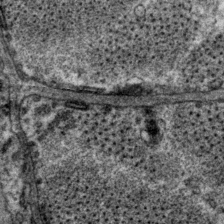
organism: P. pacificus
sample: Pharynx